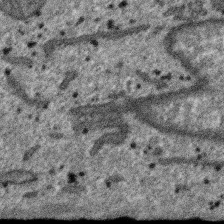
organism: Human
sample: Lung epithelial cells infected with SARS-CoV-2